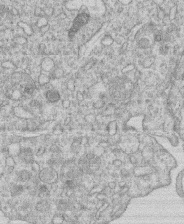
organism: Human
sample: Macrophage cells